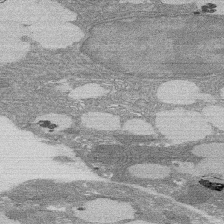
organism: Rat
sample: Salivary granule